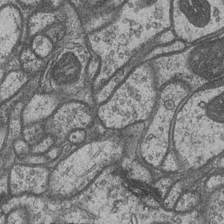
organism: Drosophila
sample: Optic medulla